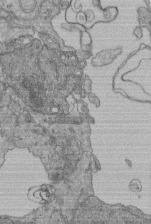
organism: Human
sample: Retinal organoid Rod and Cone cells